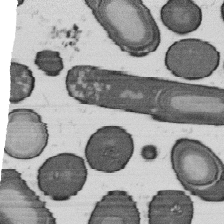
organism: B. subtilis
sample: Bacterial spore